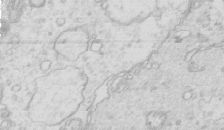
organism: Mouse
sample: Multiciliated cells